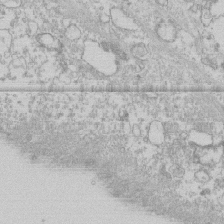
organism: Human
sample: CRL-1474